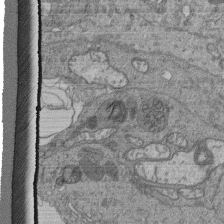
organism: Human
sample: Retinal organoid Rod and Cone cells